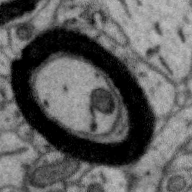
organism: Zebra finch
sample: Brain